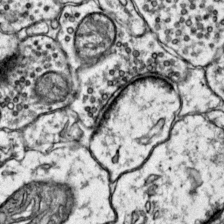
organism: Mouse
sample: Primary visual cortex